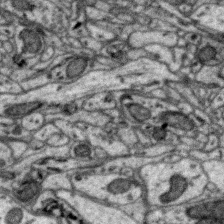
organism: Zebra finch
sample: Brain